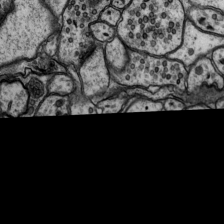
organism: Rat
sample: Hippocampus